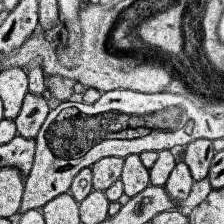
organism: Human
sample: Temporal Lobe